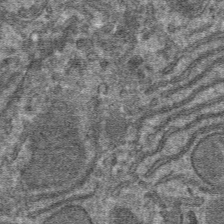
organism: Mouse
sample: Mouse hepatocytes